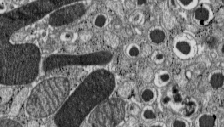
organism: C57BL Mouse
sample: Pancreatic islet